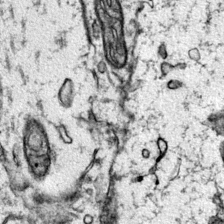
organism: Mouse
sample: Primary visual cortex